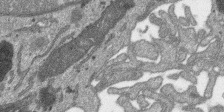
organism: Human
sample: Lung epithelial cells infected with SARS-CoV-2